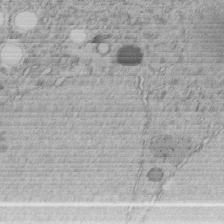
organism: C. elegans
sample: C. elegans embryo early stage